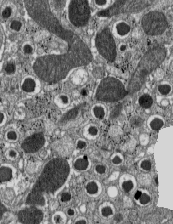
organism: C57BL Mouse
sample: Pancreatic islet